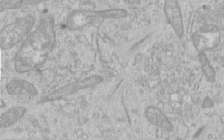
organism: Human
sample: Centriole in RPE cells